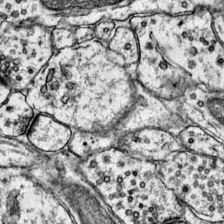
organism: Mouse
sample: Primary visual cortex